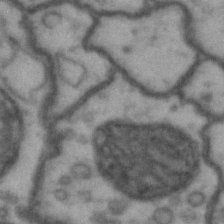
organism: Drosophila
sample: Brain